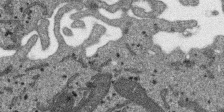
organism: Human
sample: Lung epithelial cells infected with SARS-CoV-2